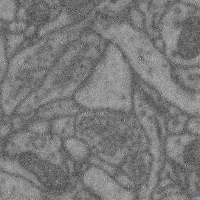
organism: Mouse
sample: Cerebral cortex